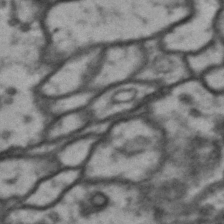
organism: Drosophila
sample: Brain